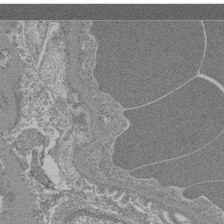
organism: Mouse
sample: Glomerulus